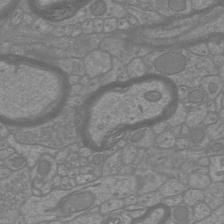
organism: Mouse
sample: Cortical neurons